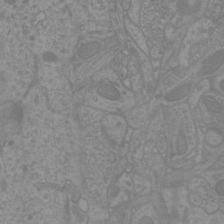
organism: Mouse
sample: Cortical neurons